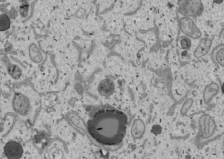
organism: Human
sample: Mitochondria in U2OS cells